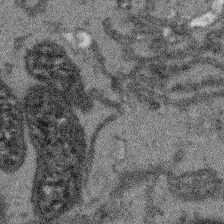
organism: Arabidopsis thaliana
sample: Root tip